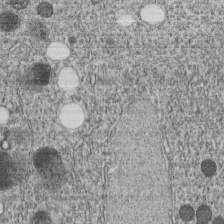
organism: C. elegans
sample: C. elegans embryo early stage